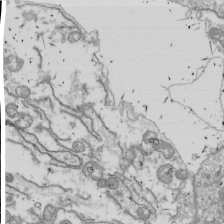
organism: Drosophila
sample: Cell division; meiosis; drosophila spermatocytes